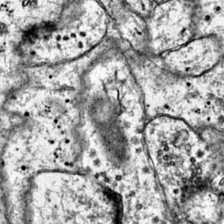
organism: Mouse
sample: Primary visual cortex